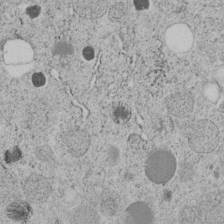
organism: C. elegans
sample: C. elegans embryo early stage